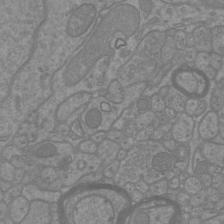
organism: Mouse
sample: Cortical neurons